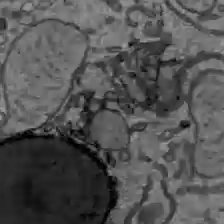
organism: C57BL Mouse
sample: Liver